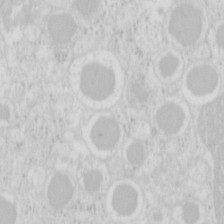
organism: Mouse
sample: Pancreas